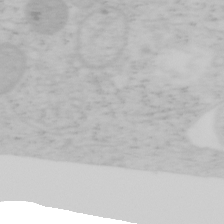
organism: Mouse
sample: OT-I killer T cells with ID8 ovarian cancer cells